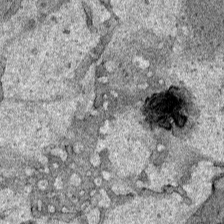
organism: Human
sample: Mitochondria in HCT116 cells